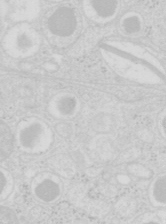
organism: Mouse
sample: Pancreas